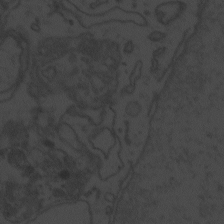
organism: Zebrafish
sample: Macrophage infected with Toxoplasma gondii